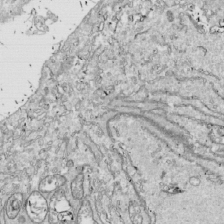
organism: Drosophila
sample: Cell division; meiosis; drosophila spermatocytes